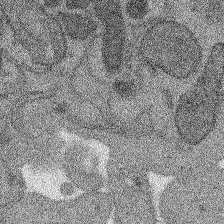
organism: Human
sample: HeLa cells